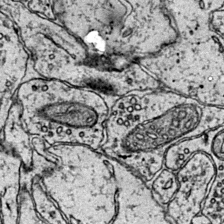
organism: Mouse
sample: Primary visual cortex